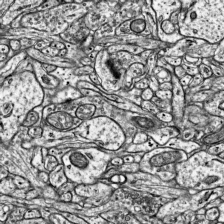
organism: Mouse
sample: Visual Cortex